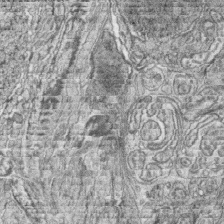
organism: Zebrafish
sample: synaptic ribbons in rod cells and cone cells